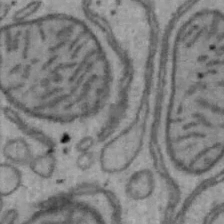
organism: Mouse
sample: Liver